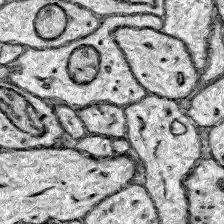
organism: Zebrafish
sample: Brain